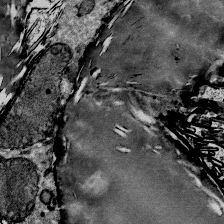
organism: Mouse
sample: Mouse Salivary gland